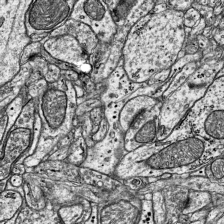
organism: Mouse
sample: Visual Cortex